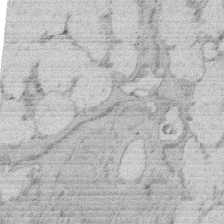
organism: Rat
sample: Salivary granule